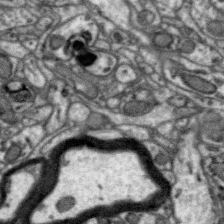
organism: Zebra finch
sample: Brain